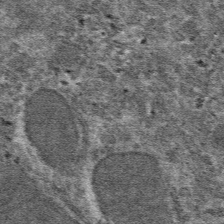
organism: Mouse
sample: Mouse hepatocytes